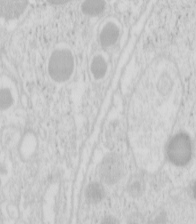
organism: Mouse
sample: Pancreas